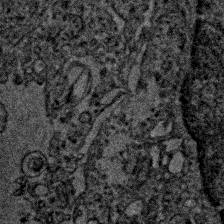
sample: Trachea